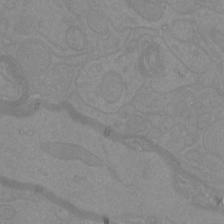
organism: Mouse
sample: Cortical neurons